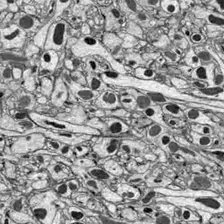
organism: Drosophila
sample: Optic lobe